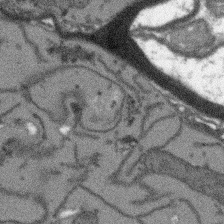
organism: Arabidopsis thaliana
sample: Root tip